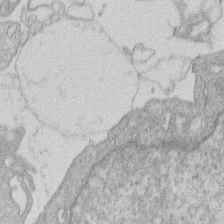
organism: Human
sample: Macrophage cells